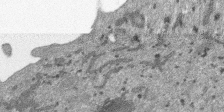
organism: Human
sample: Lung epithelial cells infected with SARS-CoV-2